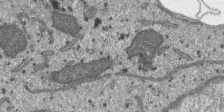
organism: Human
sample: Lung epithelial cells infected with SARS-CoV-2